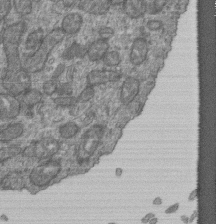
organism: Human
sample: Retinal organoid Rod and Cone cells